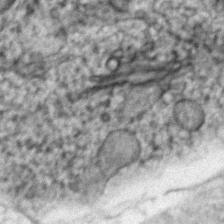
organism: Zebrafish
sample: Zebrafish embryo